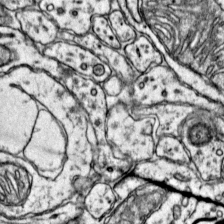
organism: Mouse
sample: Primary visual cortex